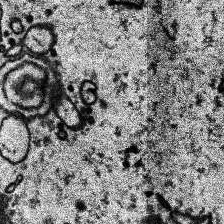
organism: Human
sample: Temporal Lobe